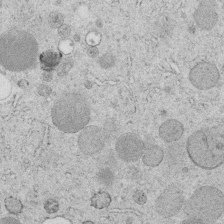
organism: C. elegans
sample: C. elegans embryo early stage